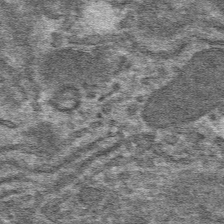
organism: Mouse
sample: Mouse hepatocytes